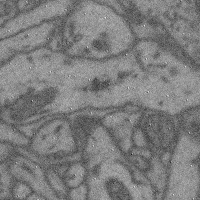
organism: Mouse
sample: Cerebral cortex